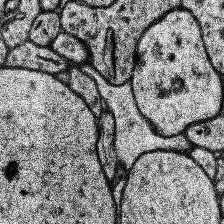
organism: Human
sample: Temporal Lobe